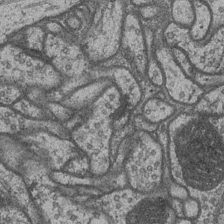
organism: Drosophila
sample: Optic medulla